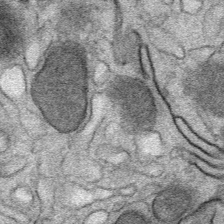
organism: Mouse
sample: Mouse Salivary gland